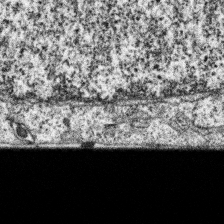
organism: Human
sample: HeLa cells